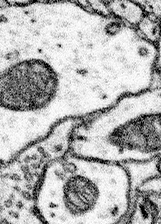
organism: Mouse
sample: Somatosensory cortex neuropil